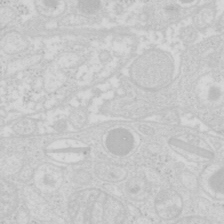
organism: Mouse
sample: Pancreas